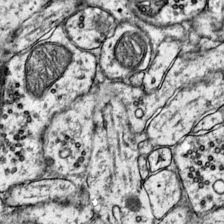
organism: Mouse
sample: Primary visual cortex